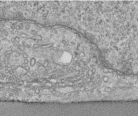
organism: Human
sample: Centriole in RPE cells